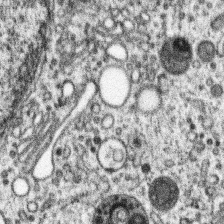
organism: Human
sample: HeLa cells